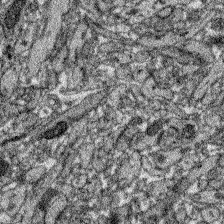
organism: Zebrafish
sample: Larval olfactory bulb